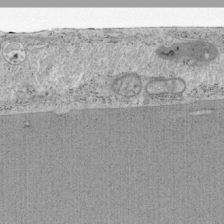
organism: Human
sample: HeLa cells